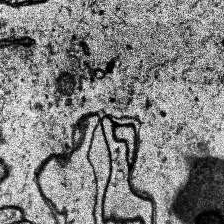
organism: Human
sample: Temporal Lobe